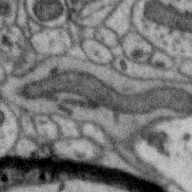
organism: Zebra finch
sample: Brain